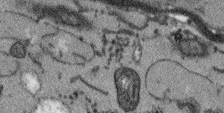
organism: Arabidopsis thaliana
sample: Root tip